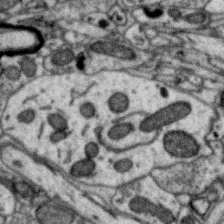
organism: Zebra finch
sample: Brain